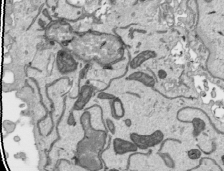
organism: Human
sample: Mitochondria in HCT116 cells